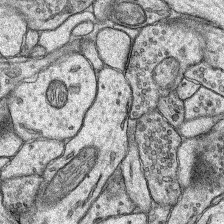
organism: Rat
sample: Hippocampus